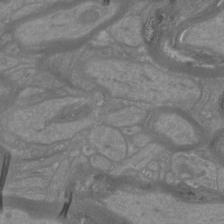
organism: Mouse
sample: Cortical neurons